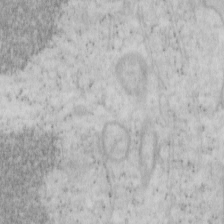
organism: Human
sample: HeLa cells